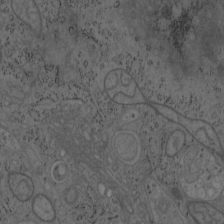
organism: Mouse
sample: OT-I killer T cells with ID8 ovarian cancer cells